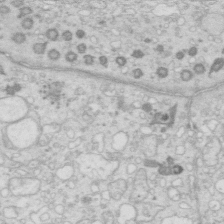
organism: Mouse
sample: Multiciliated cells